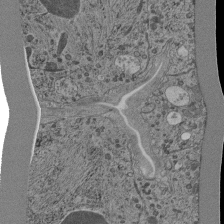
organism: C. elegans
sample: C. elegans pharynx